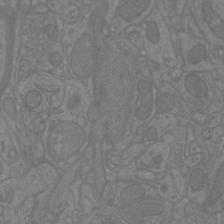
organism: Mouse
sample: Cortical neurons